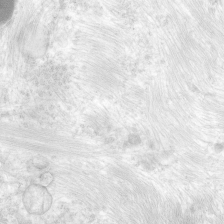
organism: Human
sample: Neocortex